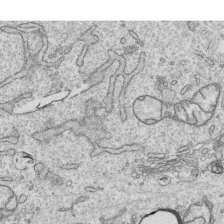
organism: Human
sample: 1205lu cells